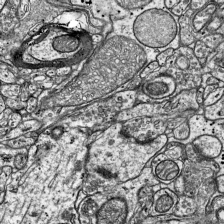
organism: Mouse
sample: Visual Cortex